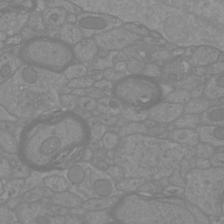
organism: Mouse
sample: Cortical neurons